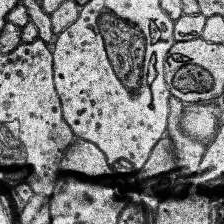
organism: Human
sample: Temporal Lobe